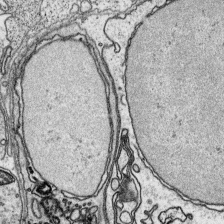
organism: Platynereis dumerilii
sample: Parapodia